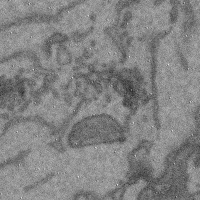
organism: Mouse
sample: Cerebral cortex